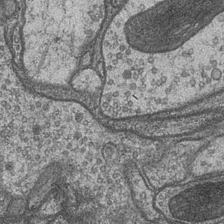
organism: Drosophila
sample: Optic medulla